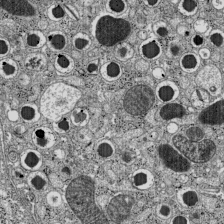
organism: C57BL Mouse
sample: Pancreatic islet